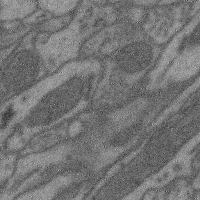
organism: Mouse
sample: Cerebral cortex